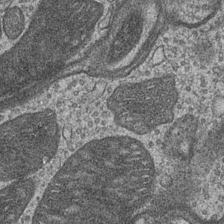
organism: Drosophila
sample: Optic medulla